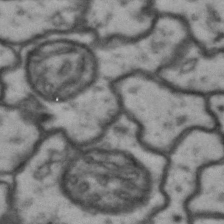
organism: Drosophila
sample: Brain